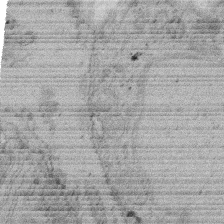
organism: Rat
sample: Salivary granule